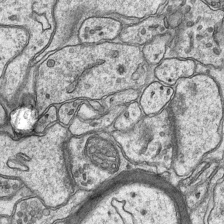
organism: Mouse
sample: CA1 Hippocampus